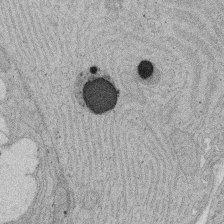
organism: Rat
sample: Salivary granule